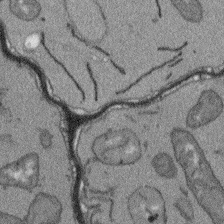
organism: Arabidopsis thaliana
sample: Root tip